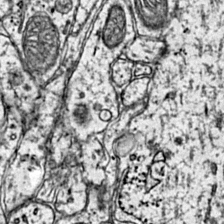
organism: Mouse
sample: Primary visual cortex